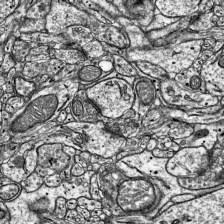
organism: Mouse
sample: Visual Cortex